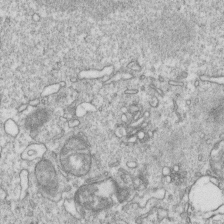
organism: Mouse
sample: Activated OT-1 CD8+ T cells